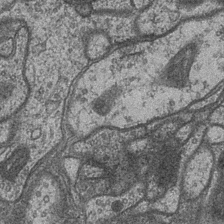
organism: Drosophila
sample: Optic medulla